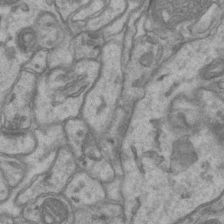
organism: Mouse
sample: CA1 Hippocampus